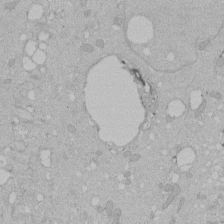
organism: Human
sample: Melanocyte Keratinocyte synapse skin construct